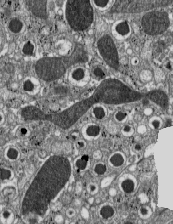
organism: C57BL Mouse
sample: Pancreatic islet